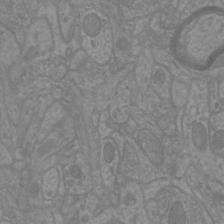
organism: Mouse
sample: Cortical neurons